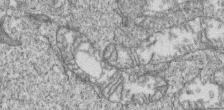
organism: Human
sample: HeLa cell HIV synapse